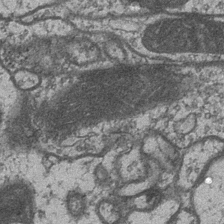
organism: Drosophila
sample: Optic medulla